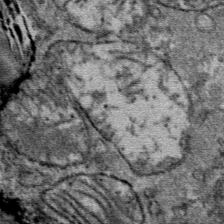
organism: Mouse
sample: Mouse Salivary gland